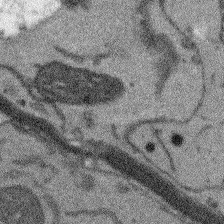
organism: Arabidopsis thaliana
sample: Root tip